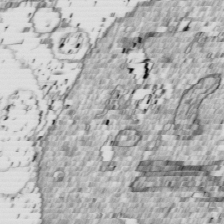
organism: Drosophila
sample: Cell division; meiosis; drosophila spermatocytes